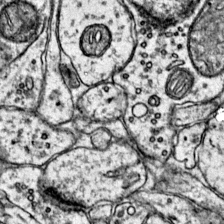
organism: Mouse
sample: Primary visual cortex